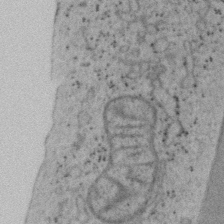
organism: Human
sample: HeLa cells